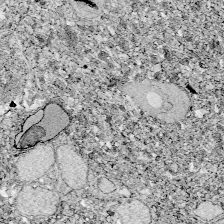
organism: Zebrafish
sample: Whole-Brain